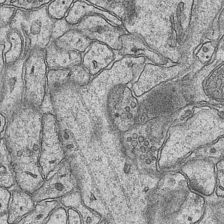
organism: Mouse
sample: CA1 Hippocampus